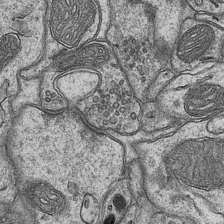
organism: Mouse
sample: CA1 Hippocampus